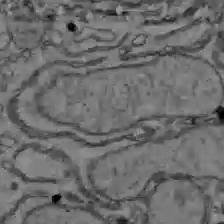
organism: C57BL Mouse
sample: Liver